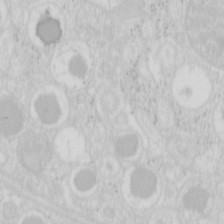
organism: Mouse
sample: Pancreas